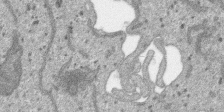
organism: Human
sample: Lung epithelial cells infected with SARS-CoV-2